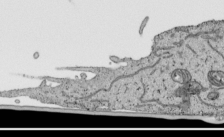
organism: Human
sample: Mitochondria in HCT116 cells